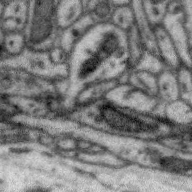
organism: Zebra finch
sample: Brain